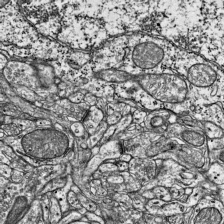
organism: Mouse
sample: Visual Cortex